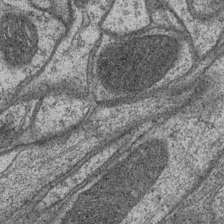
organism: Drosophila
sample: Optic medulla